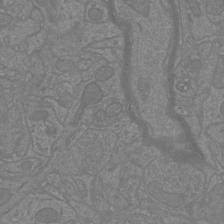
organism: Mouse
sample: Cortical neurons